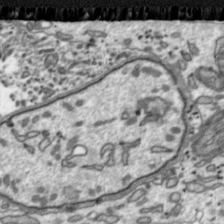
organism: Toxoplasma gondii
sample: Parasites in a vacuole inside a host cell